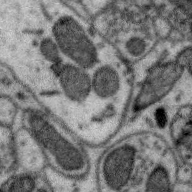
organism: Zebra finch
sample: Brain